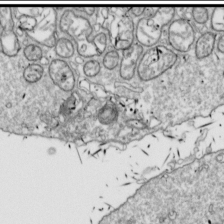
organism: Drosophila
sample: Cell division; meiosis; drosophila spermatocytes